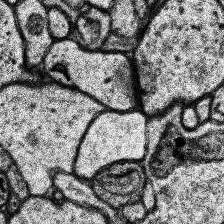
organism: Human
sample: Temporal Lobe